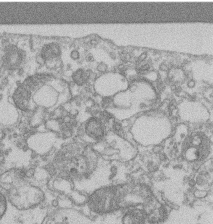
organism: Mouse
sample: T cell stromal cell synapse